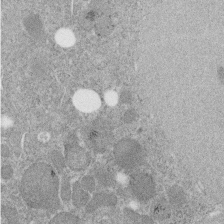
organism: C. elegans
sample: C. elegans embryo early stage